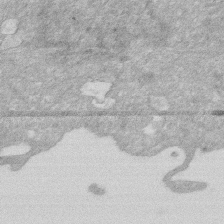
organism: Human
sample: HIV infected U937 cells